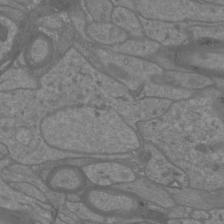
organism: Mouse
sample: Cortical neurons